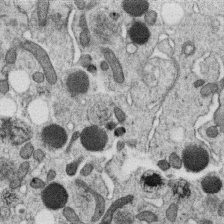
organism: C. elegans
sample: C. elegans oocyte; sperm cells